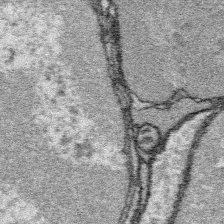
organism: Platynereis dumerilii